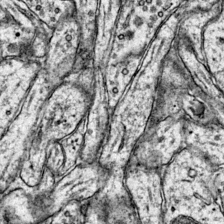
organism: Mouse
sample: Primary visual cortex